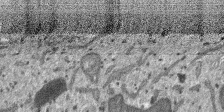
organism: Human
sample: Lung epithelial cells infected with SARS-CoV-2